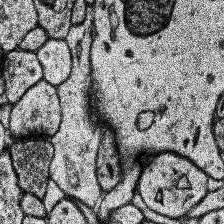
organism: Human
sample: Temporal Lobe